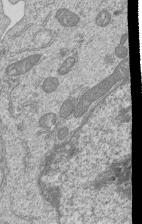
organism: Human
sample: MDA-MB-231 cells